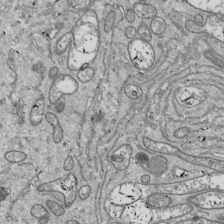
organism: Drosophila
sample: Cell division; meiosis; drosophila spermatocytes